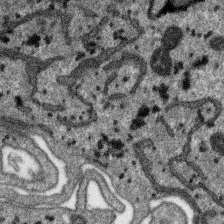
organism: Human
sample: Lung epithelial cells infected with SARS-CoV-2